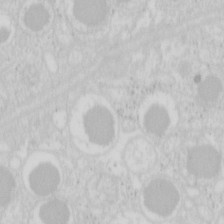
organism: Mouse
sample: Pancreas